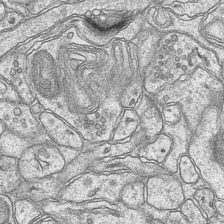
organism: Mouse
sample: CA1 Hippocampus